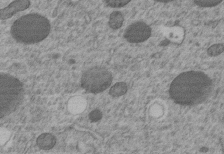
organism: C. elegans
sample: C. elegans embryo early stage